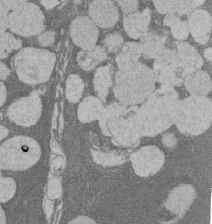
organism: Rat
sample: Salivary granule